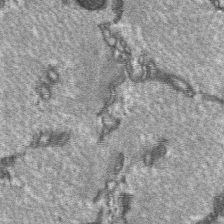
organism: C57BL Mouse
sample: Soleus